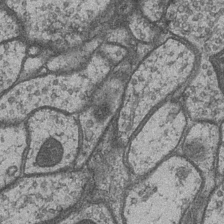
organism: Drosophila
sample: Optic medulla